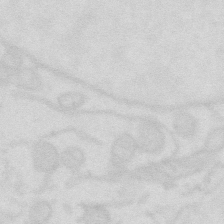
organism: Human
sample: HeLa cells